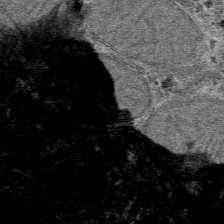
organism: Mouse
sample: Mouse hepatocytes